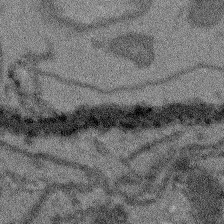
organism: Arabidopsis thaliana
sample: Root tip